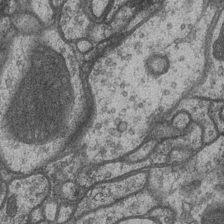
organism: Drosophila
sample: Optic medulla